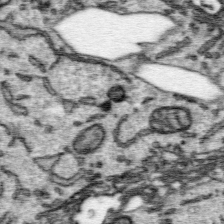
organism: Human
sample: HeLa cells